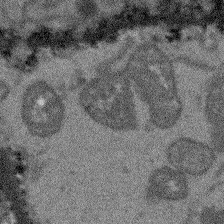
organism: Arabidopsis thaliana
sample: Root tip